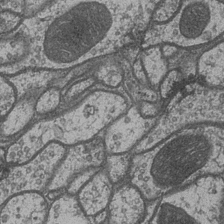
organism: Drosophila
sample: Optic medulla